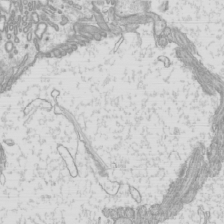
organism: Mouse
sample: Cilia; mouse epididymis